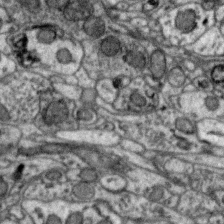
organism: Zebra finch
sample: Brain